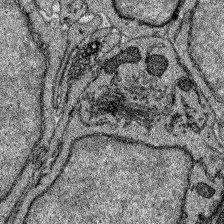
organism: Zebrafish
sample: Larval olfactory bulb